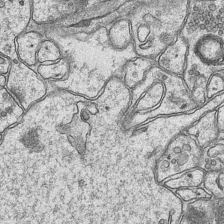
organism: Mouse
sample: CA1 Hippocampus